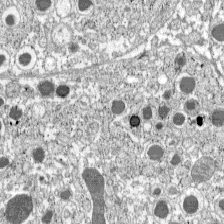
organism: C57BL Mouse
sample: Pancreatic islet